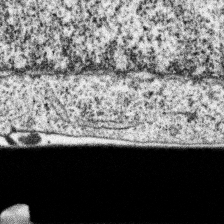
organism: Human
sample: HeLa cells